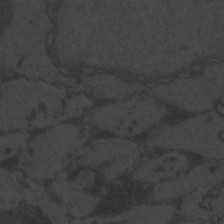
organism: Zebrafish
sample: Macrophage infected with Toxoplasma gondii